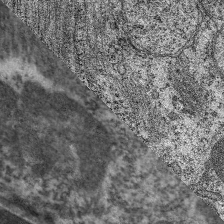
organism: C. elegans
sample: Pharynx